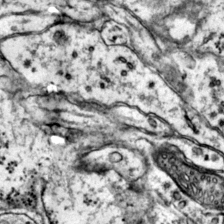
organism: Mouse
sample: Primary visual cortex